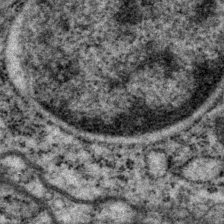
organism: P. pacificus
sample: Pharynx